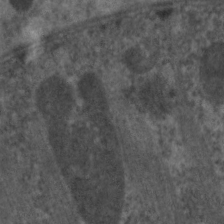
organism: C. elegans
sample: Pharynx